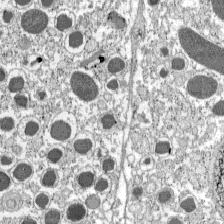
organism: C57BL Mouse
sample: Pancreatic islet